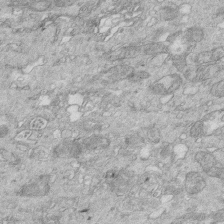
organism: Mouse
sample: Multiciliated cells